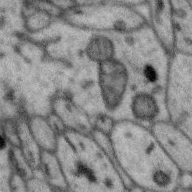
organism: Zebra finch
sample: Brain